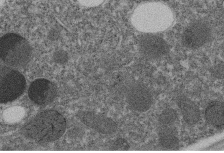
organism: C. elegans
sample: C. elegans embryo early stage